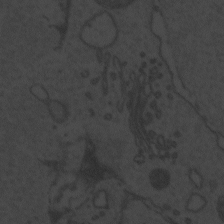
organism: Zebrafish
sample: Macrophage infected with Toxoplasma gondii